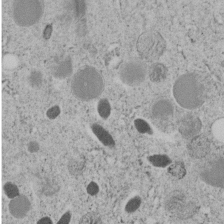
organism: C. elegans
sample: C. elegans embryo early stage